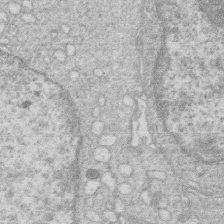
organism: Human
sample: Macrophage cells